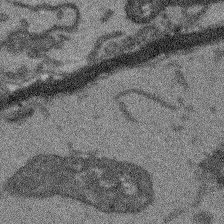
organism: Arabidopsis thaliana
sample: Root tip